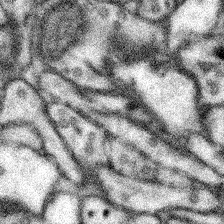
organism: Mouse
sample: Somatosensory cortex neuropil